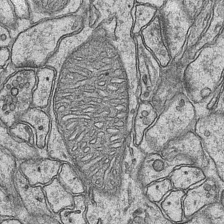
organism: Mouse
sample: CA1 Hippocampus